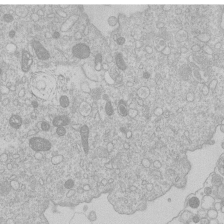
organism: Human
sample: Macrophage cells